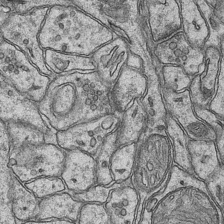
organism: Mouse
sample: CA1 Hippocampus